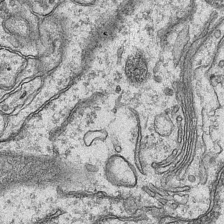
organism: Mouse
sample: CA1 Hippocampus